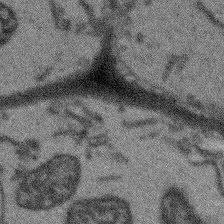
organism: Arabidopsis thaliana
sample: Root tip